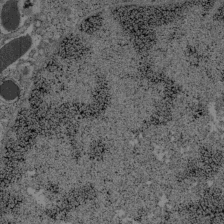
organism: C57BL Mouse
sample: Pancreatic islet